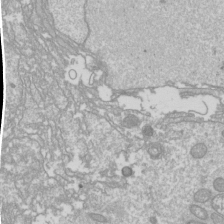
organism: Drosophila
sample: Cell division; meiosis; drosophila spermatocytes